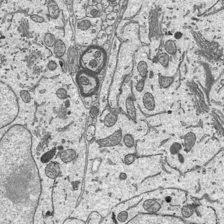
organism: Mouse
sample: Suprachiasmatic nucleus